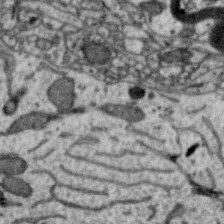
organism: Zebra finch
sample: Brain